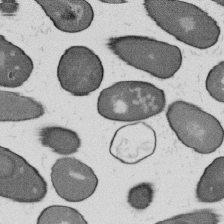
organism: B. subtilis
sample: Bacterial spore